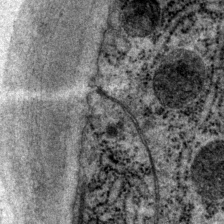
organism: P. pacificus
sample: Pharynx